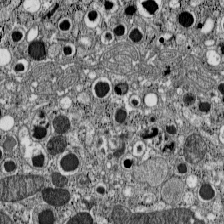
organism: C57BL Mouse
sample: Pancreatic islet